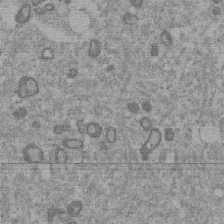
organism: Mouse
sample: Dividing mouse embryo 1 cell stage